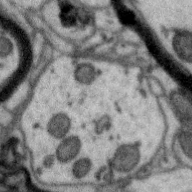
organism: Zebra finch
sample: Brain